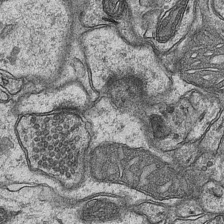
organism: Mouse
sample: CA1 Hippocampus